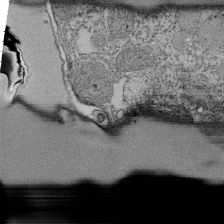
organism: Tetrahymena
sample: Cilia in tetrahymena